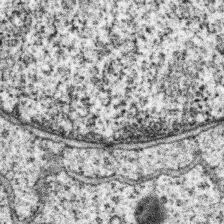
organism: Human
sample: HeLa cells